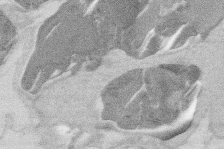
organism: Mouse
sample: T cell stromal cell synapse